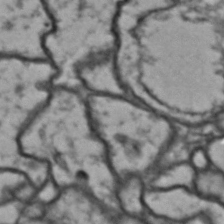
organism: Drosophila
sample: Brain